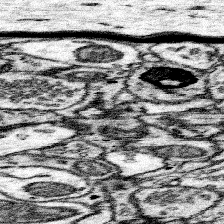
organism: Mouse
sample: Somatosensory cortex neuropil